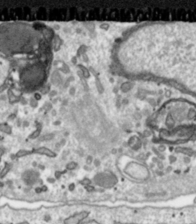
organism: Toxoplasma gondii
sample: Parasites in a vacuole inside a host cell